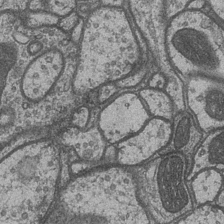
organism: Drosophila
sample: Optic medulla